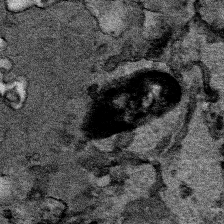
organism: Human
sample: Mitochondria in HCT116 cells